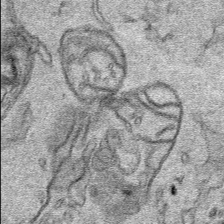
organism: Human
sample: Mitochondria in HCT116 cells